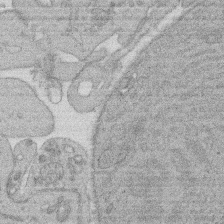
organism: Rat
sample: Salivary granule